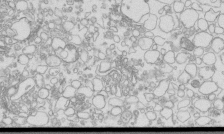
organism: Mouse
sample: Macrophages